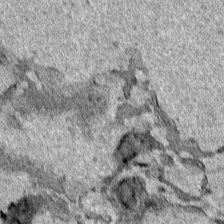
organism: Human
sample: Mitochondria in HCT116 cells